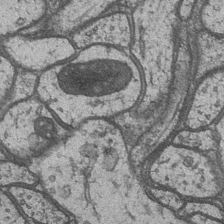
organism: Drosophila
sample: Optic medulla